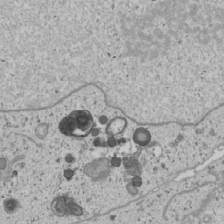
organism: Human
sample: Mitochondria in U2OS cells